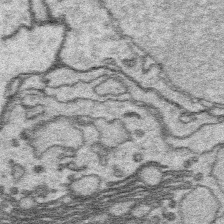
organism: Platynereis dumerilii